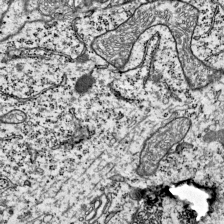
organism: Mouse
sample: Visual Cortex